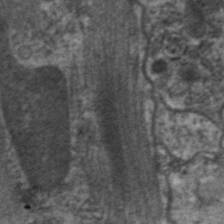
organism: C. elegans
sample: Pharynx